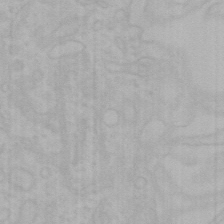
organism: Mouse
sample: Choroid plexus